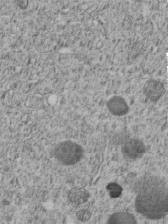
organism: C. elegans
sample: C. elegans embryo early stage